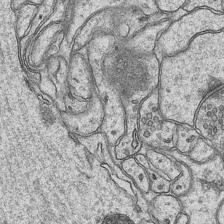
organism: Mouse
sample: CA1 Hippocampus